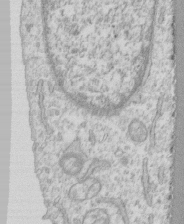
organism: Human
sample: CRL-1474